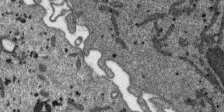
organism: Human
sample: Lung epithelial cells infected with SARS-CoV-2